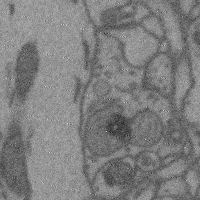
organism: Mouse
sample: Cerebral cortex